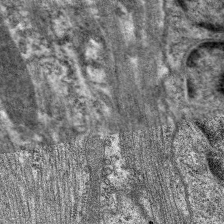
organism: C. elegans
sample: Pharynx